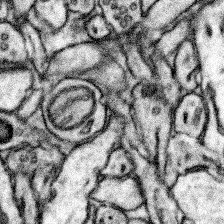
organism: Mouse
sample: Somatosensory cortex neuropil